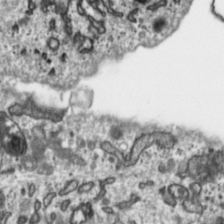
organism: Toxoplasma gondii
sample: Parasites in a vacuole inside a host cell